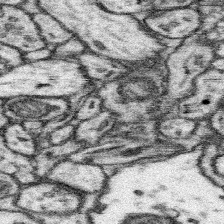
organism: Mouse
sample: Somatosensory cortex neuropil